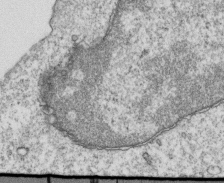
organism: Mouse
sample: Activated OT-1 CD8+ T cells